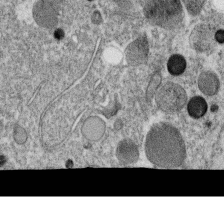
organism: C. elegans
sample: C. elegans oocyte; sperm cells